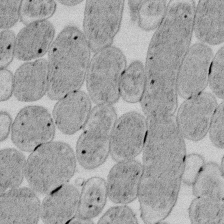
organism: E. coli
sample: Bacterial nucleoid